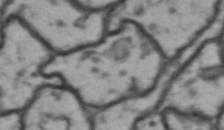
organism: Drosophila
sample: Brain